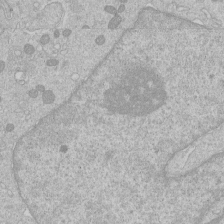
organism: Human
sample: Macrophage cells